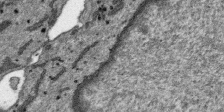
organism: Human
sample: Lung epithelial cells, uninfected (mock) control